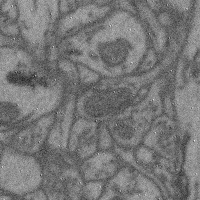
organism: Mouse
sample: Cerebral cortex